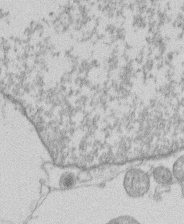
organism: Human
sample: Macrophage cells